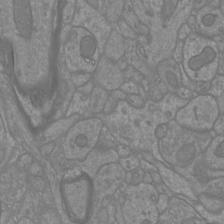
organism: Mouse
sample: Cortical neurons